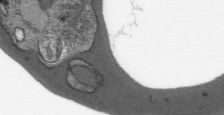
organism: Plasmodium falciparum